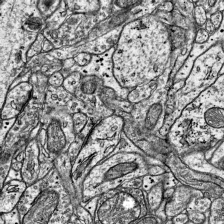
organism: Mouse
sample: Visual Cortex